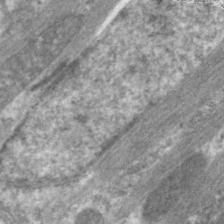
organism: C. elegans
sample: Pharynx